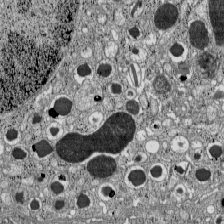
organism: C57BL Mouse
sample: Pancreatic islet